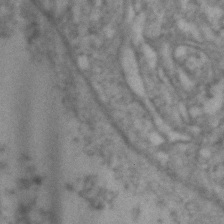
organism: Zebrafish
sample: Zebrafish embryo